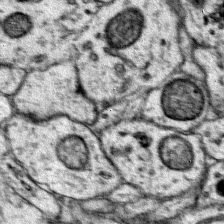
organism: Mouse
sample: Primary visual cortex